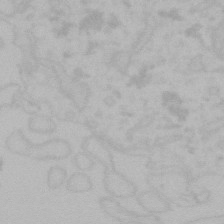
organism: Mouse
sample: Choroid plexus